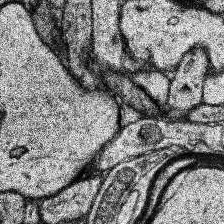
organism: Human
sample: Temporal Lobe